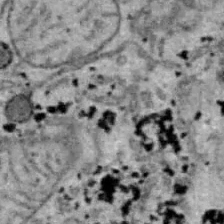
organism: Mouse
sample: Liver from an obese (ob/ob) mouse